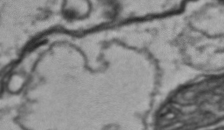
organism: Drosophila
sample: Brain